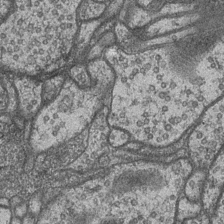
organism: Drosophila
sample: Optic medulla